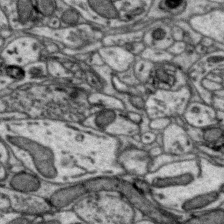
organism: Zebra finch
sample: Brain